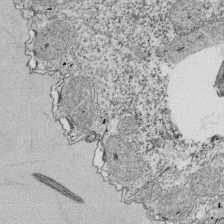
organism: Tetrahymena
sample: Cilia in tetrahymena